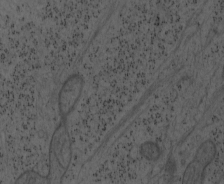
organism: Mouse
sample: OT-I killer T cells with ID8 ovarian cancer cells